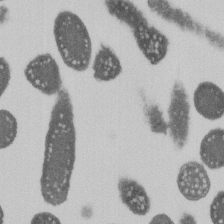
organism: E. coli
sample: Bacterial nucleoid